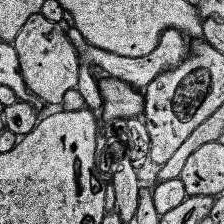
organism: Human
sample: Temporal Lobe